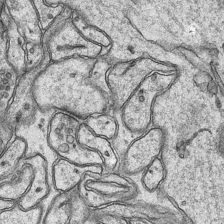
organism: Mouse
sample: CA1 Hippocampus